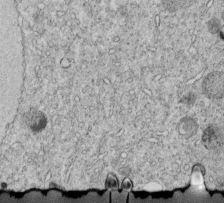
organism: C. elegans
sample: C. elegans embryo early stage